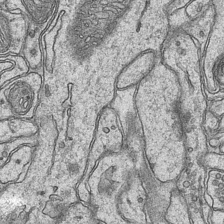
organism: Mouse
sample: CA1 Hippocampus